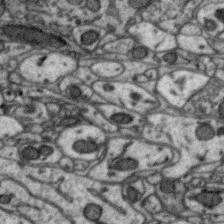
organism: Zebra finch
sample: Brain